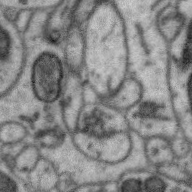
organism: Zebra finch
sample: Brain